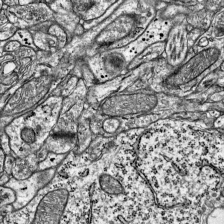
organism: Mouse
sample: Visual Cortex